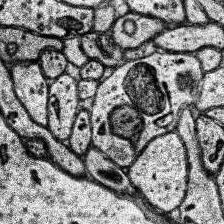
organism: Human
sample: Temporal Lobe